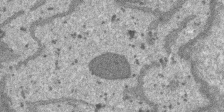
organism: Human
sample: Lung epithelial cells infected with SARS-CoV-2